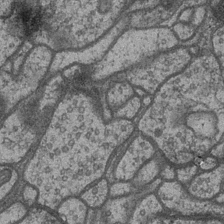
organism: Drosophila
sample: Optic medulla